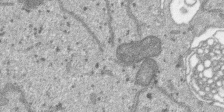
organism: Human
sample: Lung epithelial cells infected with SARS-CoV-2